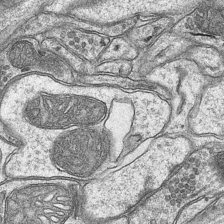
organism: Mouse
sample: CA1 Hippocampus